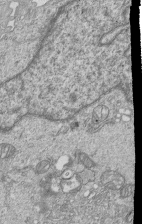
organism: Human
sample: MDA-MB-231 cells